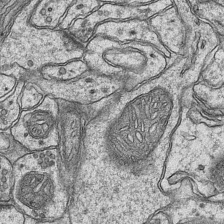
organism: Mouse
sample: CA1 Hippocampus